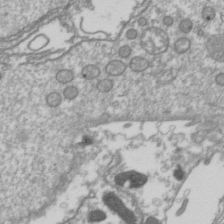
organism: Drosophila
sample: Cell division; meiosis; drosophila spermatocytes